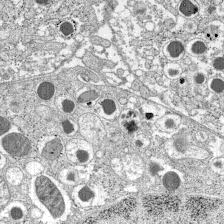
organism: C57BL Mouse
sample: Pancreatic islet